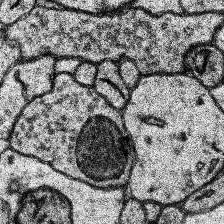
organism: Human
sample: Temporal Lobe